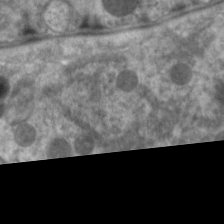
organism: C. elegans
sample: Pharynx